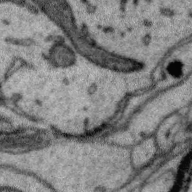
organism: Zebra finch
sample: Brain